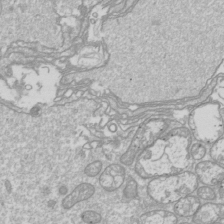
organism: Drosophila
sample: Cell division; meiosis; drosophila spermatocytes